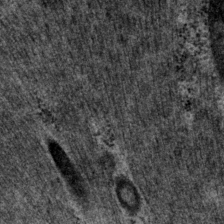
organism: P. pacificus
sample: Pharynx